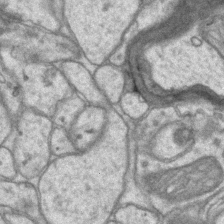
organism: Mouse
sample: CA1 Hippocampus